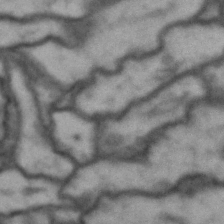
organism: Drosophila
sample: Brain